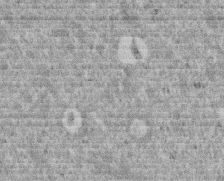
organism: Mouse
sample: Dividing mouse embryo 1 cell stage